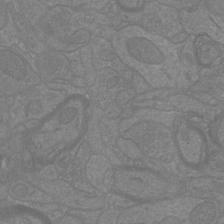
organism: Mouse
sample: Cortical neurons